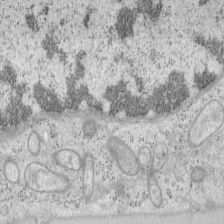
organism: Mouse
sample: OT-I killer T cells with ID8 ovarian cancer cells